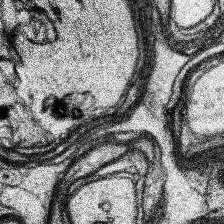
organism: Human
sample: Temporal Lobe